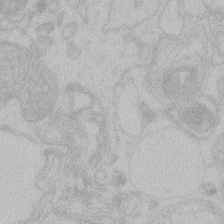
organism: Zebrafish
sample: Macrophage infected with Toxoplasma gondii